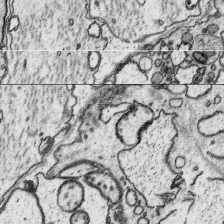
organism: Platynereis dumerilii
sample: Parapodia